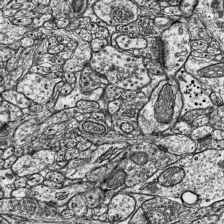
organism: Mouse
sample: Visual Cortex